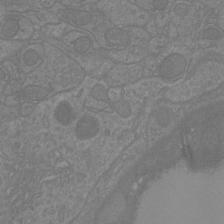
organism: Mouse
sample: Cortical neurons